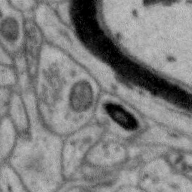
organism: Zebra finch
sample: Brain